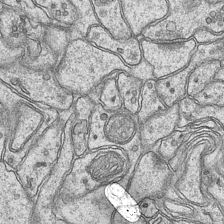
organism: Mouse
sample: CA1 Hippocampus